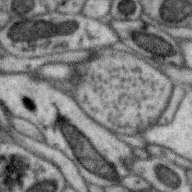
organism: Zebra finch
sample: Brain